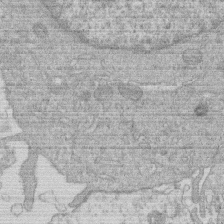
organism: Human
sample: Macrophage cells